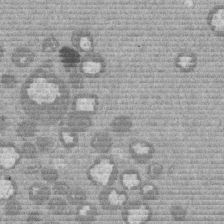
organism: Mouse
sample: Dividing mouse embryo 1 cell stage